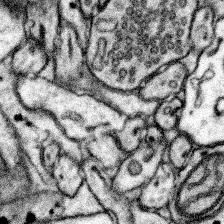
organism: Mouse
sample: Somatosensory cortex neuropil